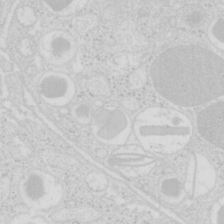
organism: Mouse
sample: Pancreas